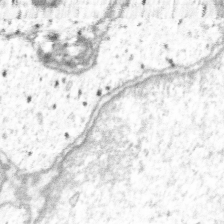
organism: Human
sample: HeLa cells